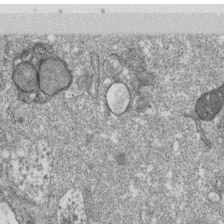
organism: African green monkey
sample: Vero E6 cells infected with SARS-CoV-2